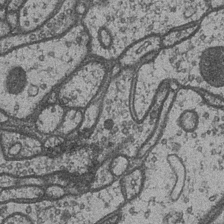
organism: Drosophila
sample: Optic medulla